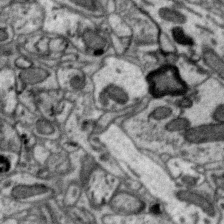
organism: Zebra finch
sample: Brain